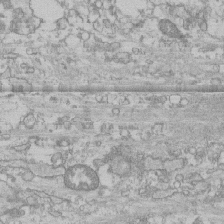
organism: Human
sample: CRL-1474